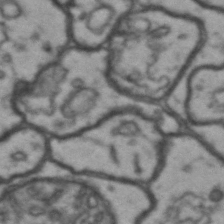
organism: Drosophila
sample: Brain